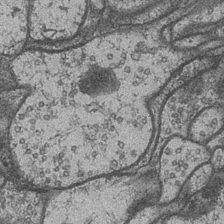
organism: Drosophila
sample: Optic medulla